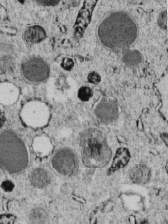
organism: C. elegans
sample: C. elegans embryo early stage